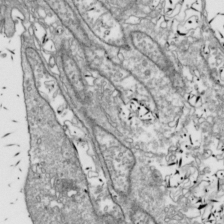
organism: Drosophila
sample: Cell division; meiosis; drosophila spermatocytes